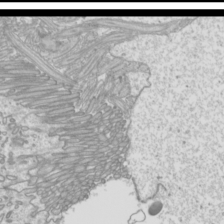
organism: Mouse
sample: Cilia; mouse epididymis